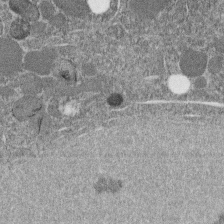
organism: C. elegans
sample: C. elegans embryo early stage